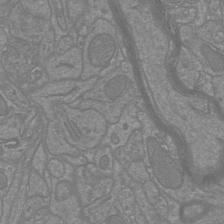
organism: Mouse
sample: Cortical neurons